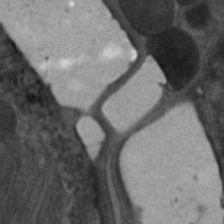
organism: C. elegans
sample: Pharynx